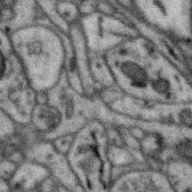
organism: Zebra finch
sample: Brain